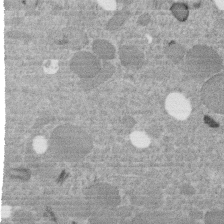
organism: C. elegans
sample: C. elegans embryo early stage